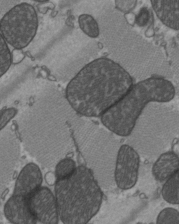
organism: C57BL Mouse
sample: Heart